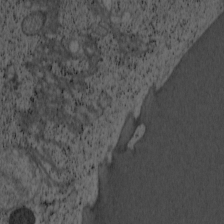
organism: African green monkey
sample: COS-7 cells